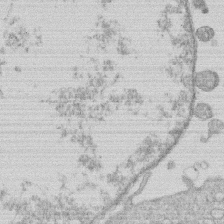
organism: Human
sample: Macrophage cells